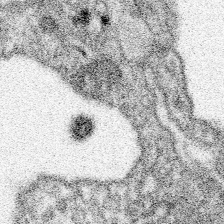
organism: Spongilla lacustris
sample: Neuroid cell